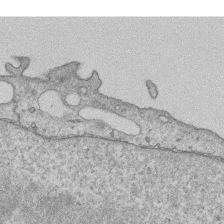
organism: Human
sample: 1205lu cells